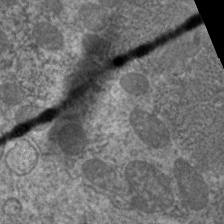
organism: C. elegans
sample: Pharynx